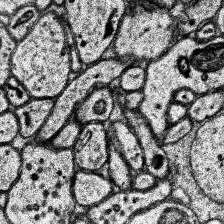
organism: Human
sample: Temporal Lobe